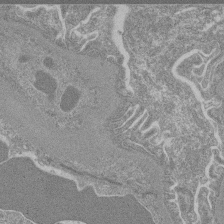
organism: Mouse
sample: Glomerulus